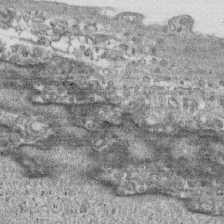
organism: Human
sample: CRL-1474